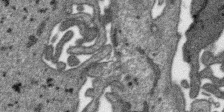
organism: Human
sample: Lung epithelial cells infected with SARS-CoV-2